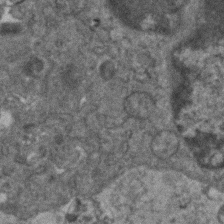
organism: Human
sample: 1205lu cells